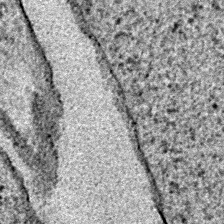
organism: E. coli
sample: E. Coli Bacteria